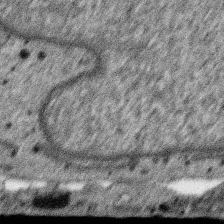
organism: Human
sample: Lung epithelial cells infected with SARS-CoV-2